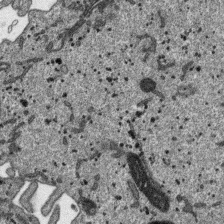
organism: Human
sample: Lung epithelial cells infected with SARS-CoV-2